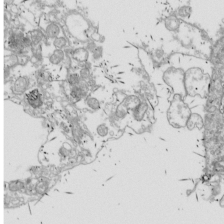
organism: Drosophila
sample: Cell division; meiosis; drosophila spermatocytes